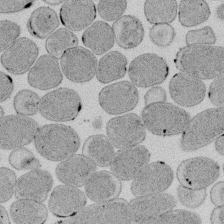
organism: E. coli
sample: Bacterial nucleoid